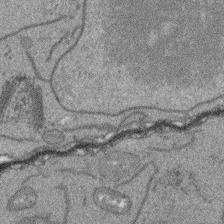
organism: Arabidopsis thaliana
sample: Root tip